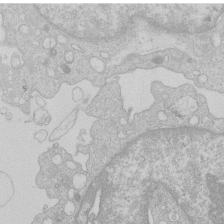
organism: Human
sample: Macrophage cells